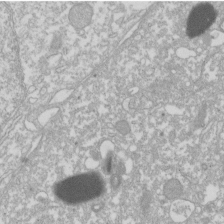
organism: Xenopus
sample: Cilia; centrioles in frog embryo cells